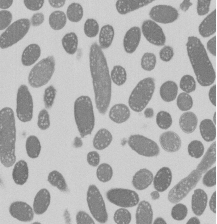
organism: E. coli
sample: Bacterial nucleoid